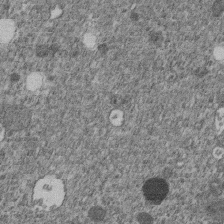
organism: C. elegans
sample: C. elegans embryo early stage